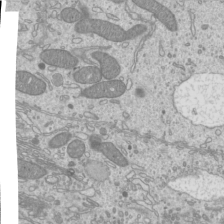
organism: Mouse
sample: Cilia; mouse epididymis